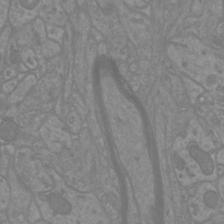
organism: Mouse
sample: Cortical neurons